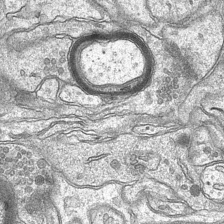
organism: Mouse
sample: CA1 Hippocampus